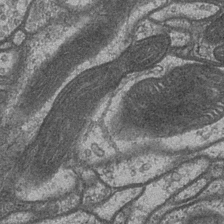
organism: Drosophila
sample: Optic medulla